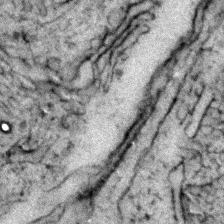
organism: Zebrafish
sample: Zebrafish embryo